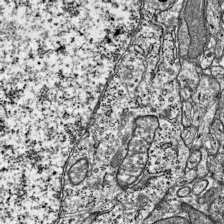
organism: Mouse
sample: Visual Cortex